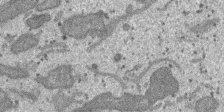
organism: Human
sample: Lung epithelial cells infected with SARS-CoV-2